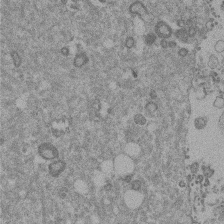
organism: Mouse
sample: Dividing mouse embryo 1 cell stage